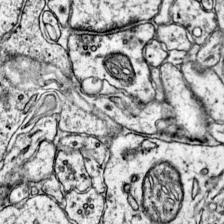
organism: Mouse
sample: Primary visual cortex